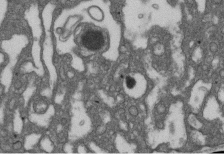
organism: Drosophila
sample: Nephrocyte